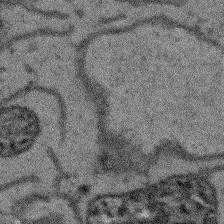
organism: Arabidopsis thaliana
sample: Root tip